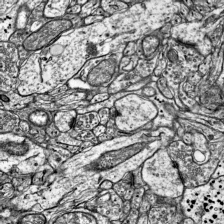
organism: Mouse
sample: Visual Cortex